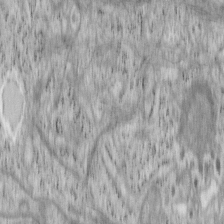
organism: Human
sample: HeLa cells